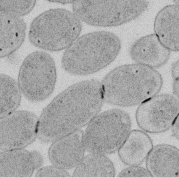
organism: E. coli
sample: Bacterial nucleoid